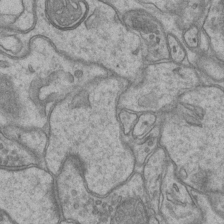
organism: Mouse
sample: CA1 Hippocampus